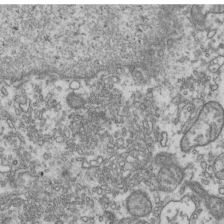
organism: Human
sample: Activated Jurkat CD4+ T cells